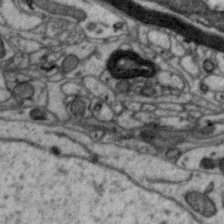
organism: Zebra finch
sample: Brain